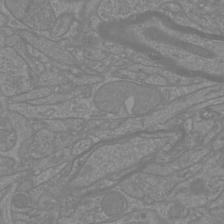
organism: Mouse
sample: Cortical neurons